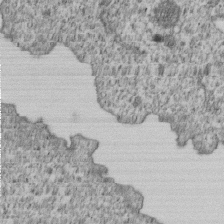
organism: Human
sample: MDA-MB-231 cells